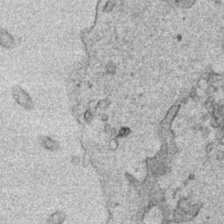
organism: Human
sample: Mitochondria in HCT116 cells